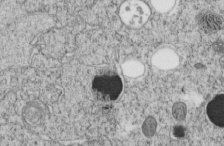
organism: C. elegans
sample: C. elegans embryo early stage